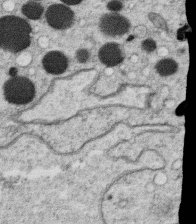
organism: C. elegans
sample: C. elegans oocyte; sperm cells